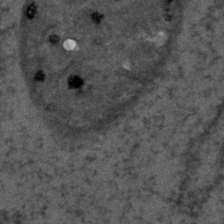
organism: C. elegans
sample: C. elegans embryo